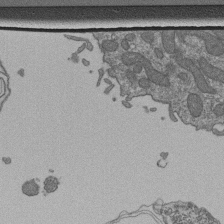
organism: Human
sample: Retinal organoid Rod and Cone cells